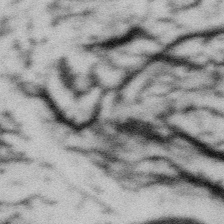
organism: Gemmata obscuriglobus